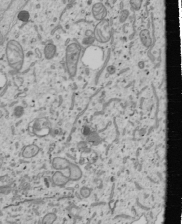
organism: Human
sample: Mitochondria in U2OS cells